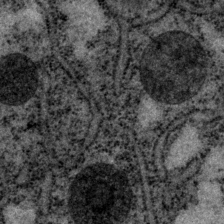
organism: P. pacificus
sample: Pharynx